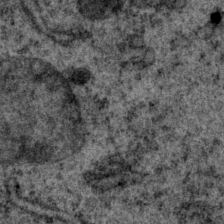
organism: P. pacificus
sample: Pharynx